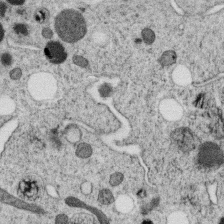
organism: C. elegans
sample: C. elegans oocyte; sperm cells